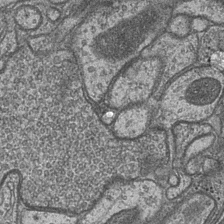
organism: Drosophila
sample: Optic medulla